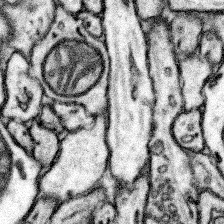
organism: Mouse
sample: Somatosensory cortex neuropil